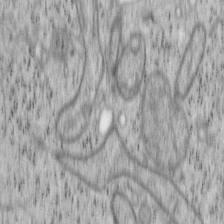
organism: Human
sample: HeLa cells